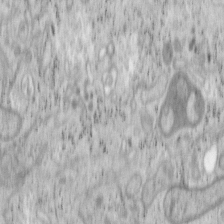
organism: Human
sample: HeLa cells